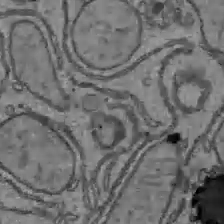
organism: C57BL Mouse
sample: Liver